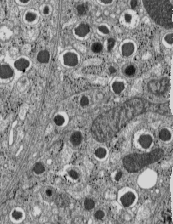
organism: C57BL Mouse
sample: Pancreatic islet